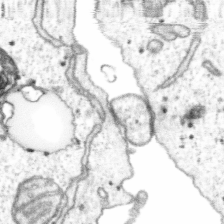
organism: Human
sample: HeLa cells